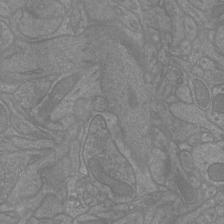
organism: Mouse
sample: Cortical neurons